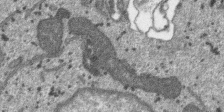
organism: Human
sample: Lung epithelial cells infected with SARS-CoV-2